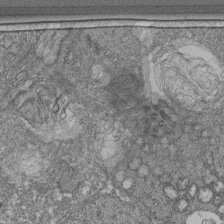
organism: Human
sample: Retinal organoid Rod and Cone cells